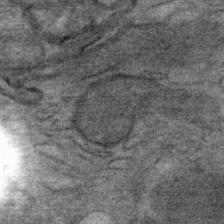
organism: Mouse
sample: Mouse Salivary gland